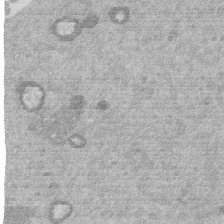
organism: Mouse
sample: Dividing mouse embryo 1 cell stage